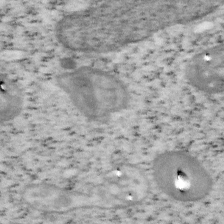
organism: Mouse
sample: OT-I killer T cells with ID8 ovarian cancer cells